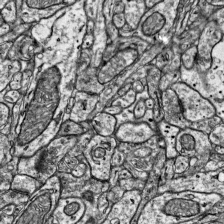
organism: Mouse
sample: Visual Cortex